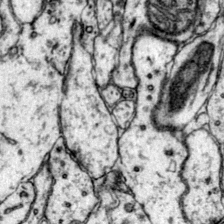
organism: Mouse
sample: Primary visual cortex